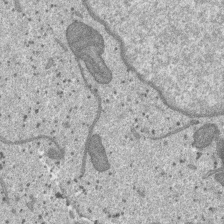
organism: Human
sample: Lung epithelial cells infected with SARS-CoV-2